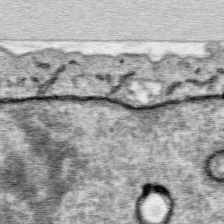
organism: Human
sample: HeLa cells